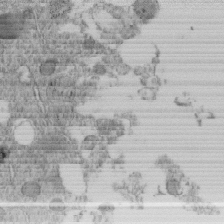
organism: C. elegans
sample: C. elegans embryo early stage